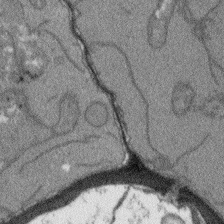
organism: Arabidopsis thaliana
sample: Root tip